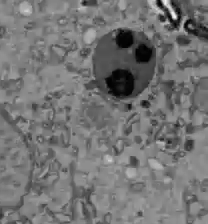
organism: C57BL Mouse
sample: Liver